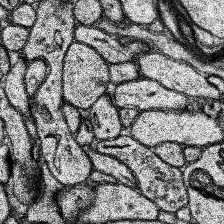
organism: Human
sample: Temporal Lobe